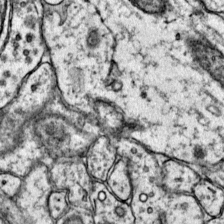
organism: Mouse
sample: Primary visual cortex